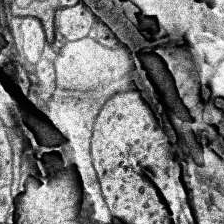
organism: Human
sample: Temporal Lobe